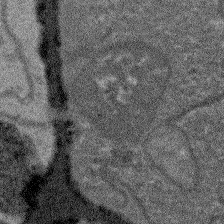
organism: Arabidopsis thaliana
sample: Root tip